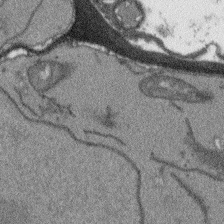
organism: Arabidopsis thaliana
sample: Root tip